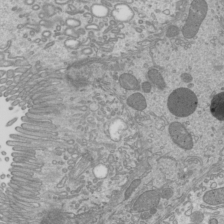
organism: Mouse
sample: Cilia; mouse epididymis